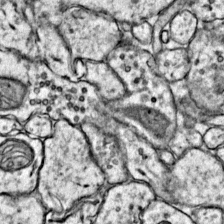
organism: Mouse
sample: Primary visual cortex